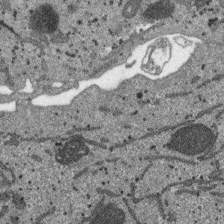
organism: Human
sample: Lung epithelial cells infected with SARS-CoV-2